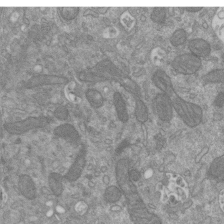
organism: Mouse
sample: ED-1 cell nuclei; centrioles